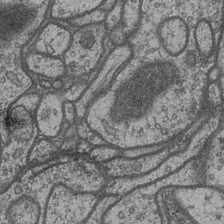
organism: Drosophila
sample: Optic medulla